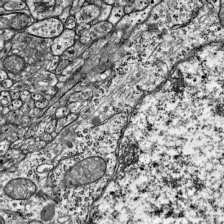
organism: Mouse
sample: Visual Cortex